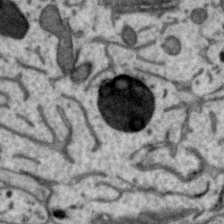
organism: Zebra finch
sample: Brain